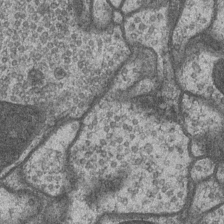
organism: Drosophila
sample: Optic medulla